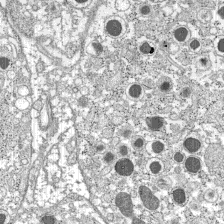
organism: C57BL Mouse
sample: Pancreatic islet